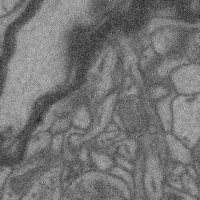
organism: Mouse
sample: Cerebral cortex